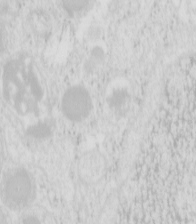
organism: Mouse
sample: Pancreas